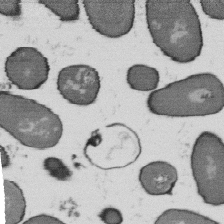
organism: B. subtilis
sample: Bacterial spore